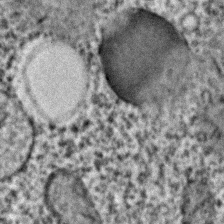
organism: C. elegans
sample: C. elegans embryo